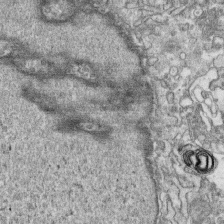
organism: Human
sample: CRL-1474